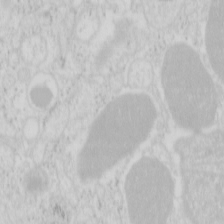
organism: Mouse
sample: Pancreas